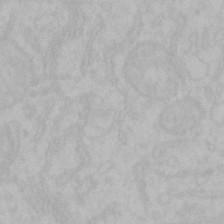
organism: Mouse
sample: Choroid plexus